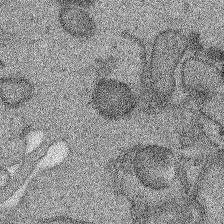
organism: Human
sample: HeLa cells